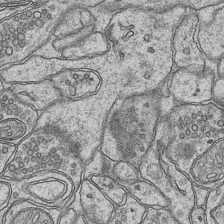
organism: Mouse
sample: CA1 Hippocampus